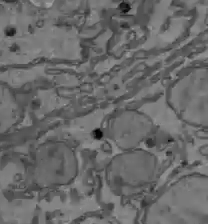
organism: C57BL Mouse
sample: Liver